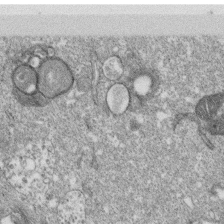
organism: African green monkey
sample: Vero E6 cells infected with SARS-CoV-2